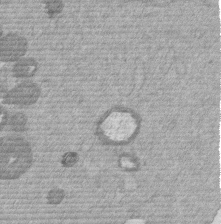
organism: Mouse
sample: Dividing mouse embryo 1 cell stage